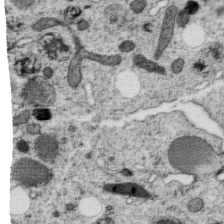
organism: C. elegans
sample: C. elegans oocyte; sperm cells